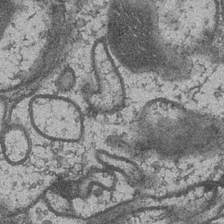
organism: Drosophila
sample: Optic medulla